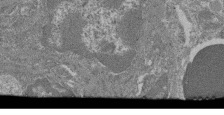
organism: Mouse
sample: Glomerulus